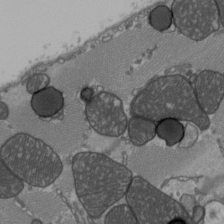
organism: C57BL Mouse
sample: Heart